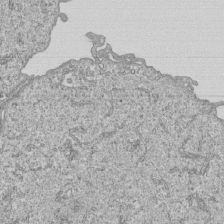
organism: Human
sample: MDA-MB-231 cells